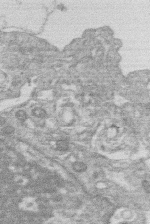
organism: Human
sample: Macrophage cells